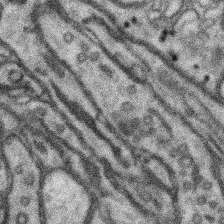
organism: Mouse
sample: Somatosensory cortex neuropil